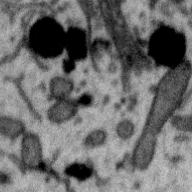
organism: Zebra finch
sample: Brain